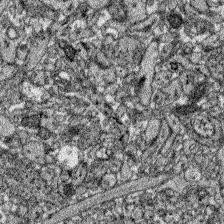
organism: Zebrafish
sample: Larval olfactory bulb